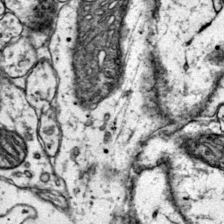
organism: Mouse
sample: Primary visual cortex